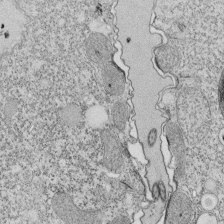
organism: Tetrahymena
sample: Cilia in tetrahymena